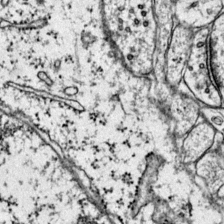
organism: Mouse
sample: Primary visual cortex